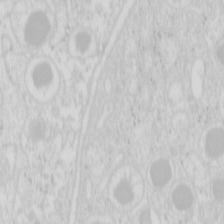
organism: Mouse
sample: Pancreas